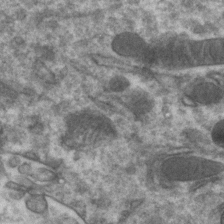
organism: Zebrafish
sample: Zebrafish embryo